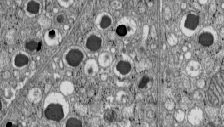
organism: C57BL Mouse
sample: Pancreatic islet